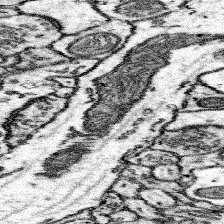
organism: Mouse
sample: Somatosensory cortex neuropil